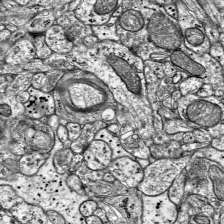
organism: Mouse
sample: Visual Cortex